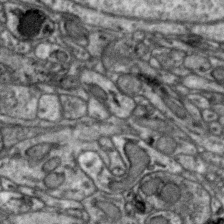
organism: Zebra finch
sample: Brain